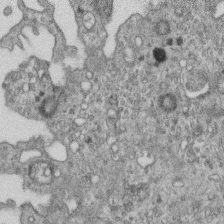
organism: Mouse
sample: Centriole in ependymal cells